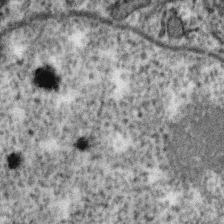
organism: Zebra finch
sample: Brain